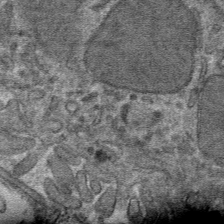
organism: Mouse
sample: Mouse hepatocytes